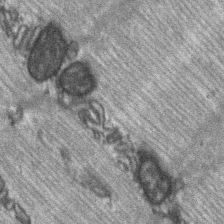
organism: C57BL Mouse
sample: Soleus